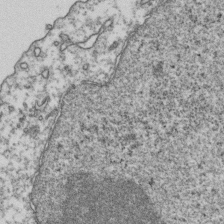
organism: Human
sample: Activated Jurkat CD4+ T cells